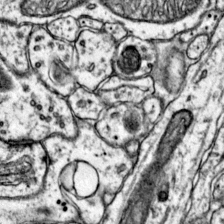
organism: Mouse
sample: Primary visual cortex